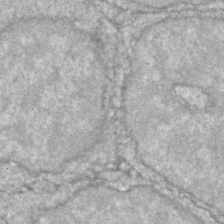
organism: Zebrafish